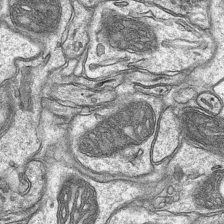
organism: Mouse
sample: CA1 Hippocampus